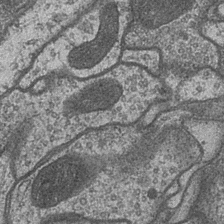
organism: Drosophila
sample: Optic medulla